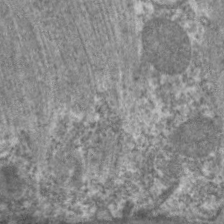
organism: C. elegans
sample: Pharynx